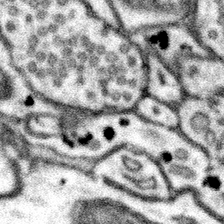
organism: Mouse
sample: Somatosensory cortex neuropil